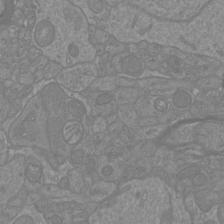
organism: Mouse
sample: Cortical neurons